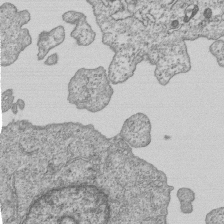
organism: Human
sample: MDA-MB-231 cells